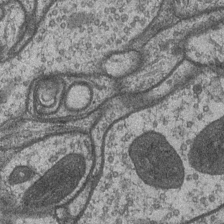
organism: Drosophila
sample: Optic medulla